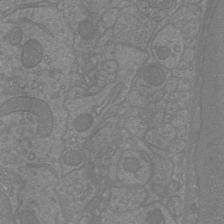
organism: Mouse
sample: Cortical neurons